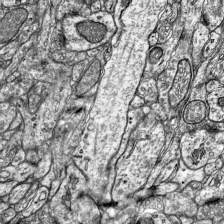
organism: Mouse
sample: Visual Cortex